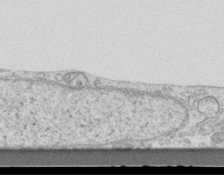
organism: Mouse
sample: Centriole in ependymal cells